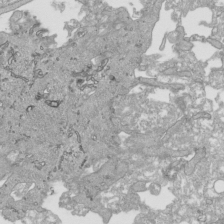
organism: Human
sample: Mitochondria in HCT116 cells